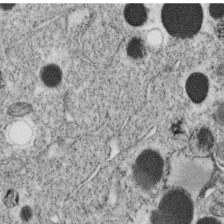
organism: C. elegans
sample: C. elegans oocyte; sperm cells